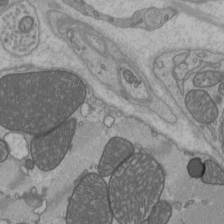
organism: C57BL Mouse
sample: Heart